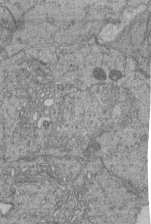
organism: Human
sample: Retinal organoid Rod and Cone cells